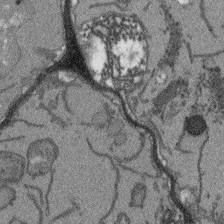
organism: Arabidopsis thaliana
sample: Root tip